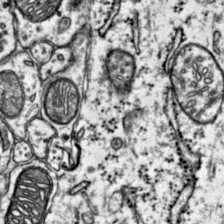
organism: Mouse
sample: Primary visual cortex